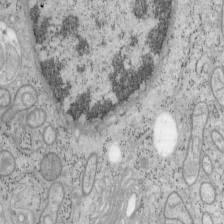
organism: Mouse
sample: OT-I killer T cells with ID8 ovarian cancer cells